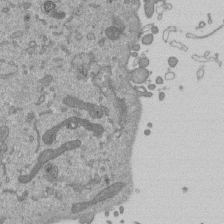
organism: Mouse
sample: ED-1 cell nuclei; centrioles